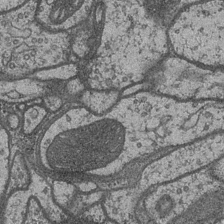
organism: Drosophila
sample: Optic medulla